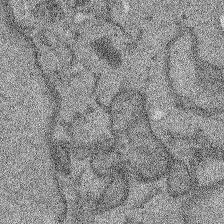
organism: Human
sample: HeLa cells